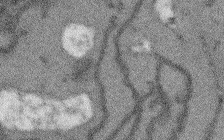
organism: Arabidopsis thaliana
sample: Root tip